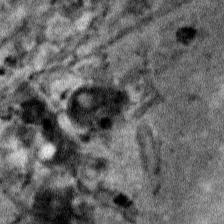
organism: Human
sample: Mitochondria in HCT116 cells